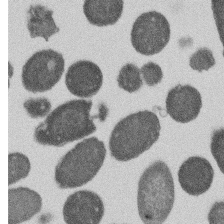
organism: E. coli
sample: Bacterial nucleoid